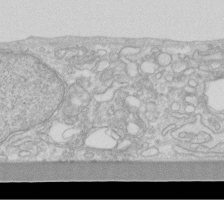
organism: Human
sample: Fibroblast cells